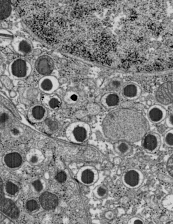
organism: C57BL Mouse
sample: Pancreatic islet